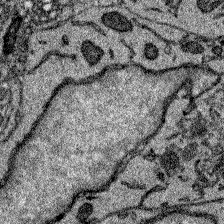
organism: Zebrafish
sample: Larval olfactory bulb